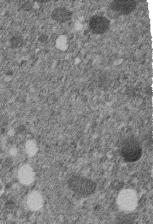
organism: C. elegans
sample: C. elegans embryo early stage